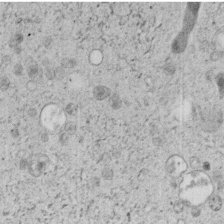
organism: C. elegans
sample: C. elegans embryo early stage